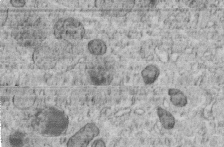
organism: C. elegans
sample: C. elegans embryo early stage